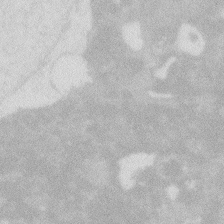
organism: Zebrafish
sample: Macrophage